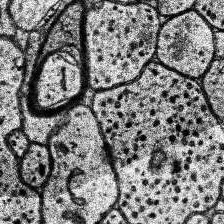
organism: Human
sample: Temporal Lobe